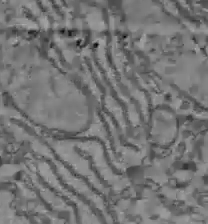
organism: C57BL Mouse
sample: Liver